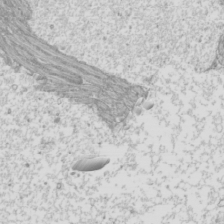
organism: Mouse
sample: Cilia; mouse epididymis